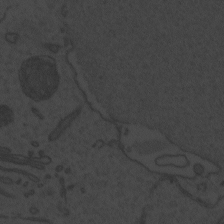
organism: Zebrafish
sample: Macrophage infected with Toxoplasma gondii